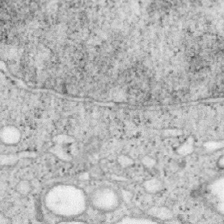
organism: Mouse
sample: OT-I killer T cells with ID8 ovarian cancer cells